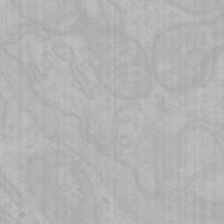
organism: Mouse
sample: Choroid plexus